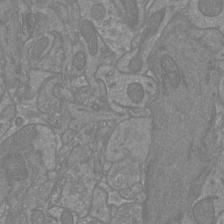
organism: Mouse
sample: Cortical neurons